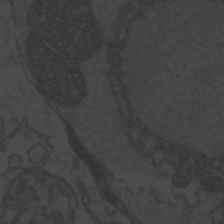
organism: Zebrafish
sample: Macrophage infected with Toxoplasma gondii